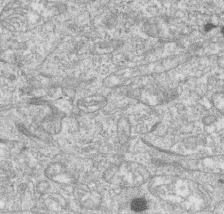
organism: Human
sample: HeLa cell HIV synapse